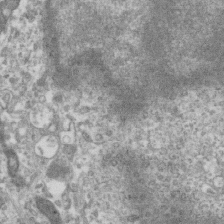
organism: Human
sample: Centriole in RPE cells